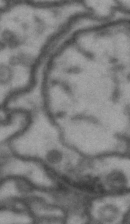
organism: Drosophila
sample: Brain